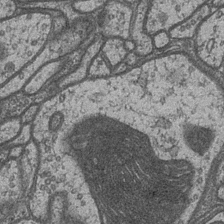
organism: Drosophila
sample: Optic medulla